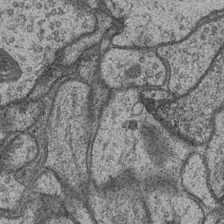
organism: Drosophila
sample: Optic medulla